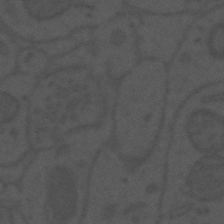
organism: Mouse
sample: Suprachiasmatic nucleus